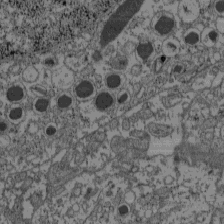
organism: C57BL Mouse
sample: Pancreatic islet